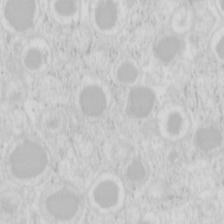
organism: Mouse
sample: Pancreas